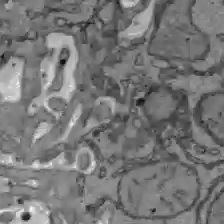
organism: C57BL Mouse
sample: Liver